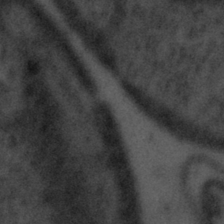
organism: Tuwongella immobilis